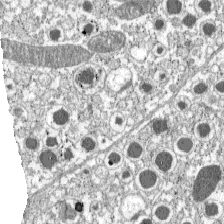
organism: C57BL Mouse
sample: Pancreatic islet